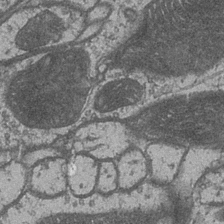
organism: Drosophila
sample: Optic medulla